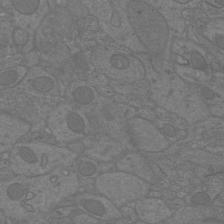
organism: Mouse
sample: Cortical neurons